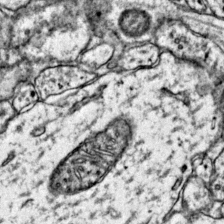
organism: Mouse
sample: Primary visual cortex